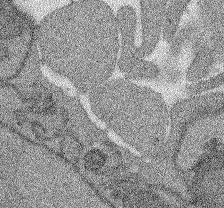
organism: Human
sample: HeLa cells